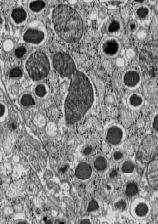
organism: C57BL Mouse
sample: Pancreatic islet